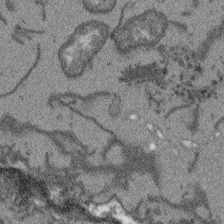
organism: Arabidopsis thaliana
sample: Root tip